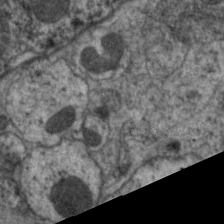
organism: C. elegans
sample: Pharynx